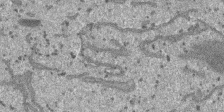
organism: Human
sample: Lung epithelial cells infected with SARS-CoV-2